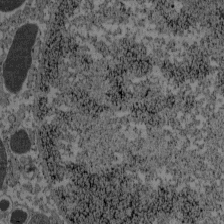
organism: C57BL Mouse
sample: Pancreatic islet